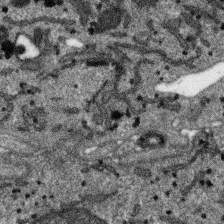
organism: Human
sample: Lung epithelial cells infected with SARS-CoV-2